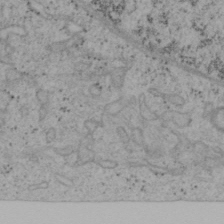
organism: Human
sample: HeLa cells